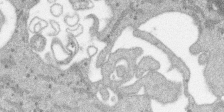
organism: Human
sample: Lung epithelial cells infected with SARS-CoV-2